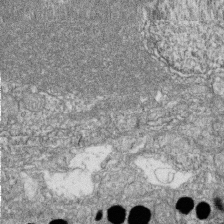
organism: Zebrafish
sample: Cilia; retinal pigment epithelium